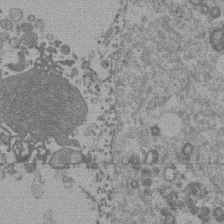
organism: Mouse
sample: Dividing mouse embryo 1 cell stage